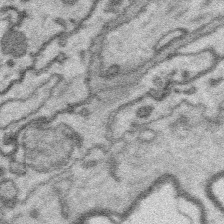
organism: Platynereis dumerilii